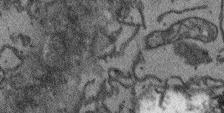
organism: Arabidopsis thaliana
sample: Root tip